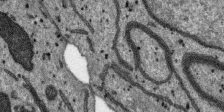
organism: Human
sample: Lung epithelial cells, uninfected (mock) control